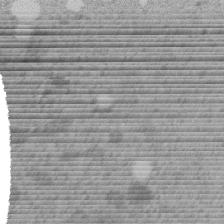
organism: C. elegans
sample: C. elegans embryo early stage